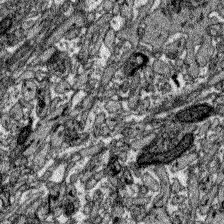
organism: Zebrafish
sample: Larval olfactory bulb